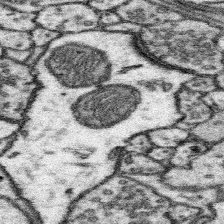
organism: Mouse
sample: Somatosensory cortex neuropil